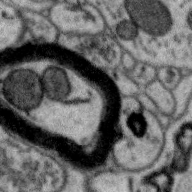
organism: Zebra finch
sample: Brain